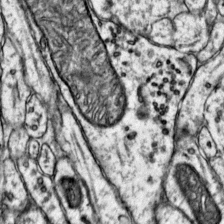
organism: Mouse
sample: Primary visual cortex